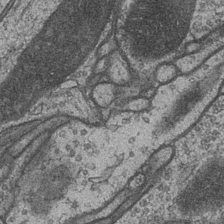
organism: Drosophila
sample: Optic medulla